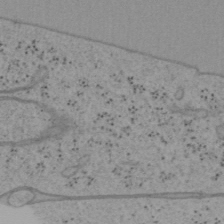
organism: Human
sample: HeLa cells